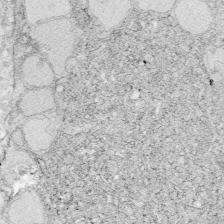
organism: Zebrafish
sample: Whole-Brain